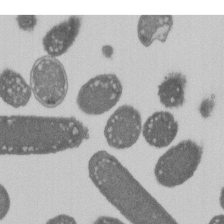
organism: E. coli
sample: Bacterial nucleoid